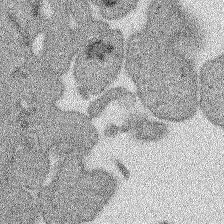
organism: Human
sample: HeLa cells